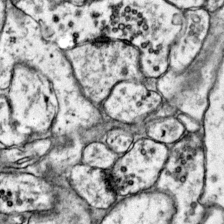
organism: Mouse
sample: Primary visual cortex